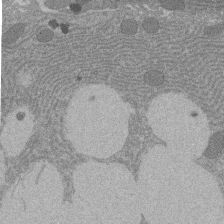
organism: Rat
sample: Salivary granule